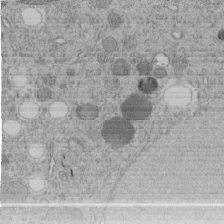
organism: C. elegans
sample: C. elegans embryo early stage